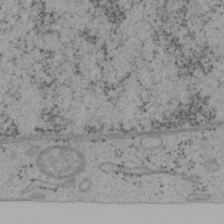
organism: Human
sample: HeLa cells